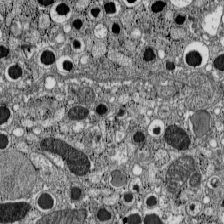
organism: C57BL Mouse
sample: Pancreatic islet